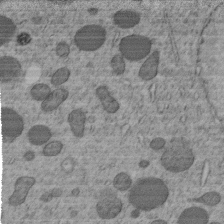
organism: C. elegans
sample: C. elegans embryo early stage